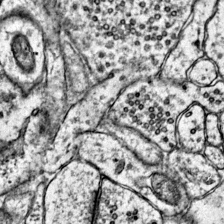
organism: Mouse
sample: Primary visual cortex